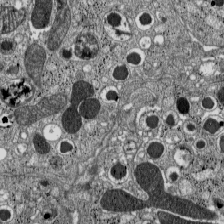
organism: C57BL Mouse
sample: Pancreatic islet